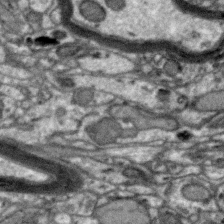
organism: Zebra finch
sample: Brain